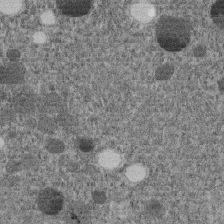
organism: C. elegans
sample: C. elegans embryo early stage